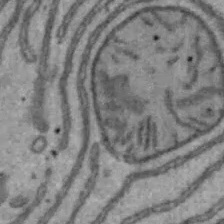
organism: Mouse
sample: Liver